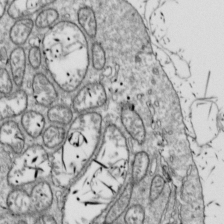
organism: Drosophila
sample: Cell division; meiosis; drosophila spermatocytes